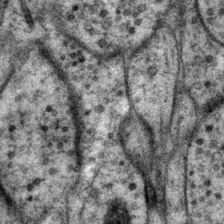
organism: P. pacificus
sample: Pharynx